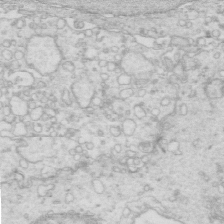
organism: Mouse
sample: Multiciliated cells